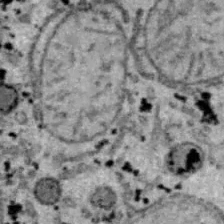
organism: Mouse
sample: Liver from an obese (ob/ob) mouse